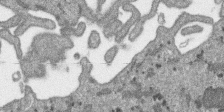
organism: Human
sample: Lung epithelial cells infected with SARS-CoV-2